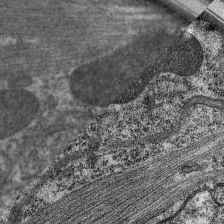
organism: C. elegans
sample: Pharynx